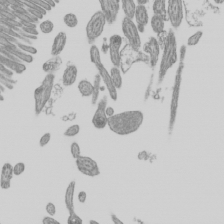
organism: Mouse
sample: Cilia; mouse epididymis